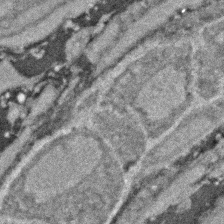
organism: Zebrafish